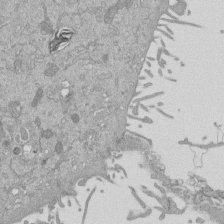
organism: Mouse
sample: ED-1 cell nuclei; centrioles